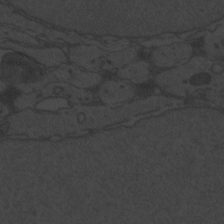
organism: Zebrafish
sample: Macrophage infected with Toxoplasma gondii